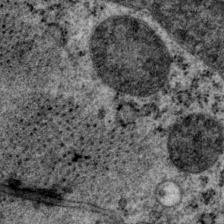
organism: P. pacificus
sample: Pharynx